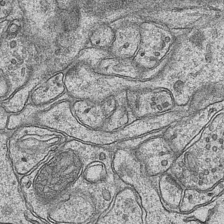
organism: Mouse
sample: CA1 Hippocampus